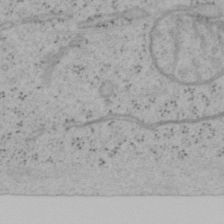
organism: Human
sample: HeLa cells